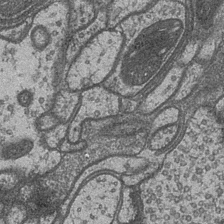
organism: Drosophila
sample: Optic medulla